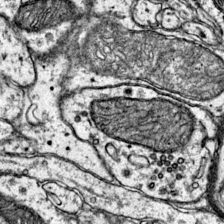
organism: Mouse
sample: Primary visual cortex